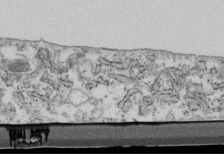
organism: Mouse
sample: Cilia; retinal pigment epithelium